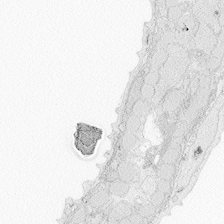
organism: Zebrafish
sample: Whole-Brain